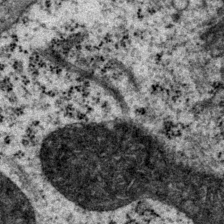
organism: P. pacificus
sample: Pharynx